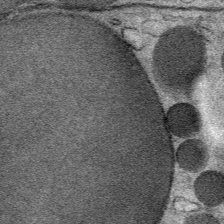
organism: Mouse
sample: Mouse Salivary gland